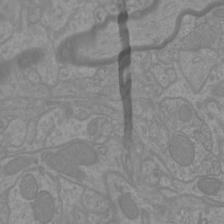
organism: Mouse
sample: Cortical neurons